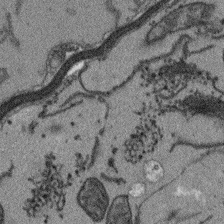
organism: Arabidopsis thaliana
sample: Root tip